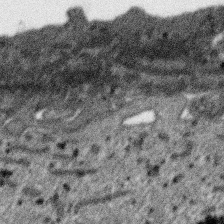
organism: Human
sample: Lung epithelial cells infected with SARS-CoV-2